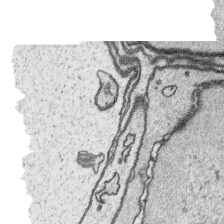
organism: Platynereis dumerilii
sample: Parapodia